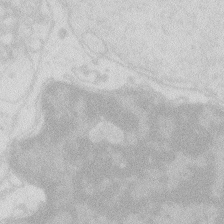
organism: Zebrafish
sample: Macrophage